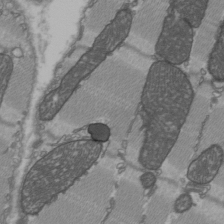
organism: C57BL Mouse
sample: Heart